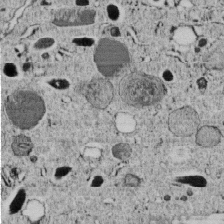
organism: C. elegans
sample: C. elegans embryo early stage